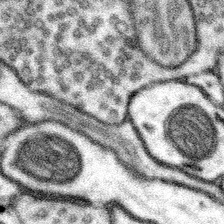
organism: Mouse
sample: Somatosensory cortex neuropil